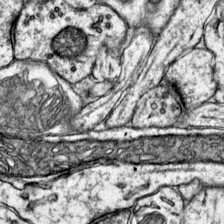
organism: Mouse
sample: Primary visual cortex